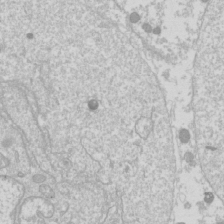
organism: Drosophila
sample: Cell division; meiosis; drosophila spermatocytes